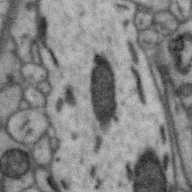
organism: Zebra finch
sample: Brain